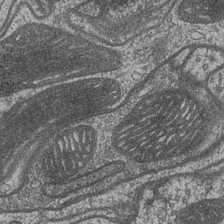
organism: Drosophila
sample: Optic medulla